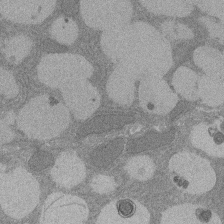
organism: Rat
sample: Salivary granule